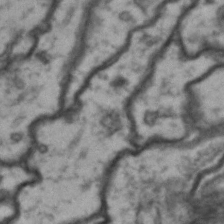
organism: Drosophila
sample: Brain